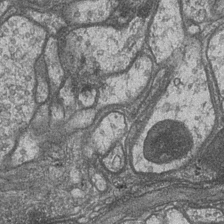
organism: Drosophila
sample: Optic medulla